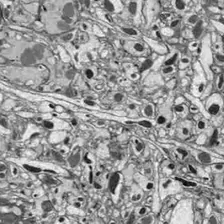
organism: Drosophila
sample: Optic lobe